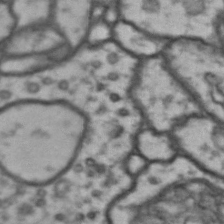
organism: Drosophila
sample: Brain